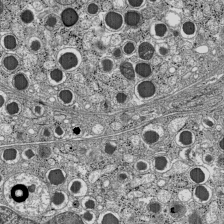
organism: C57BL Mouse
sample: Pancreatic islet